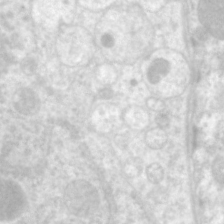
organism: C. elegans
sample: Pharynx